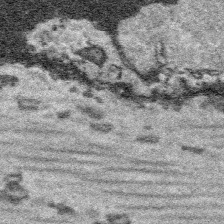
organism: Platynereis dumerilii